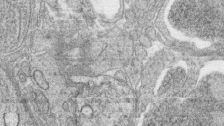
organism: Zebrafish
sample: synaptic ribbons in rod cells and cone cells